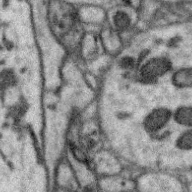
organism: Zebra finch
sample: Brain